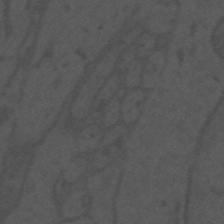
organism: Mouse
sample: Suprachiasmatic nucleus